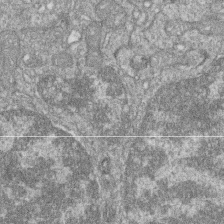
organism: Zebrafish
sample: Cilia; retinal pigment epithelium